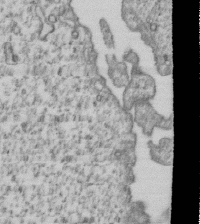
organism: Human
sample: MDA-MB-231 cells